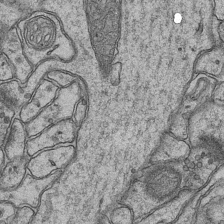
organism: Mouse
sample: CA1 Hippocampus